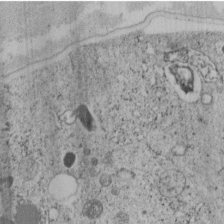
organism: C. elegans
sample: C. elegans embryo early stage